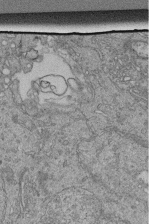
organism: Human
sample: Retinal organoid Rod and Cone cells